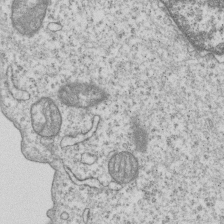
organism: Human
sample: MDA-MB-231 cells